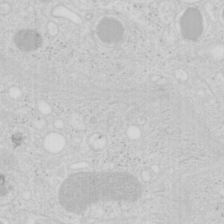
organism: Mouse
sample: Pancreas